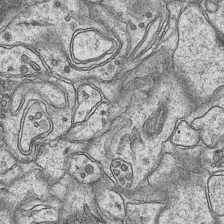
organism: Mouse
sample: CA1 Hippocampus